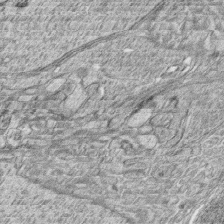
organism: Zebrafish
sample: synaptic ribbons in rod cells and cone cells